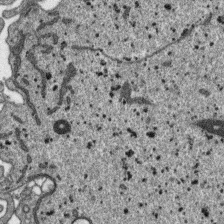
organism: Human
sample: Lung epithelial cells infected with SARS-CoV-2